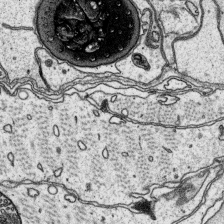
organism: Platynereis dumerilii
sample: Parapodia